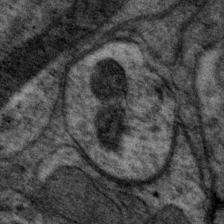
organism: P. pacificus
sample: Pharynx